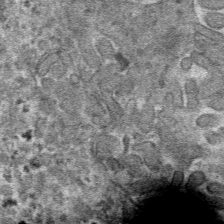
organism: Mouse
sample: Mouse hepatocytes